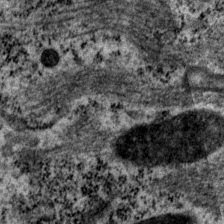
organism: P. pacificus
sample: Pharynx